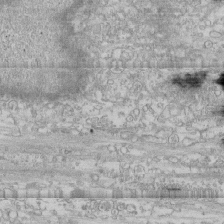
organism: Human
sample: CRL-1474